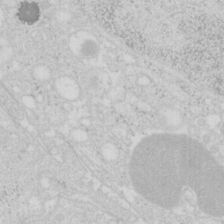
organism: Mouse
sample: Pancreas